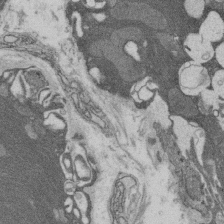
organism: Rat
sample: Salivary granule